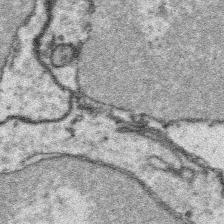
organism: Platynereis dumerilii